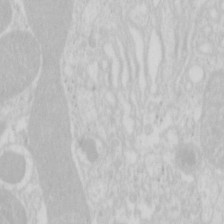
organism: Mouse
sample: Pancreas